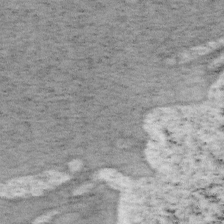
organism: Mouse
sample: OT-I killer T cells with ID8 ovarian cancer cells